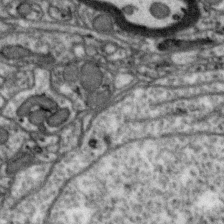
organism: Zebra finch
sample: Brain